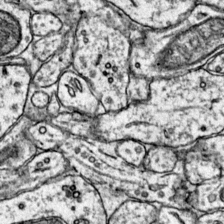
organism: Mouse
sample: Primary visual cortex